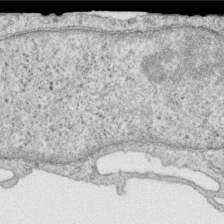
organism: Human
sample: Centriole in RPE cells